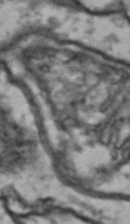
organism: Drosophila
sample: Brain